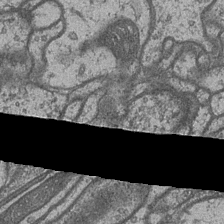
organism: Drosophila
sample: Optic medulla